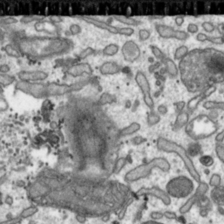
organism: Toxoplasma gondii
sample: Parasites in a vacuole inside a host cell